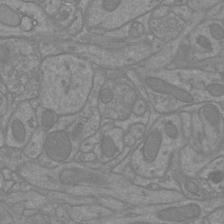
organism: Mouse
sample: Cortical neurons